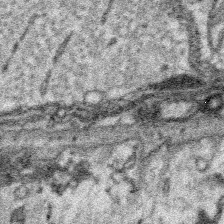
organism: Platynereis dumerilii